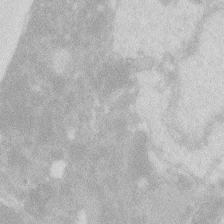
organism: Zebrafish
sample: Macrophage